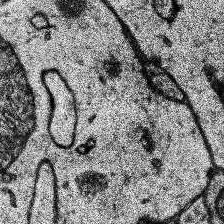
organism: Human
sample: Temporal Lobe